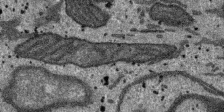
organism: Human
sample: Lung epithelial cells, uninfected (mock) control